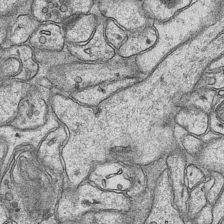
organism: Mouse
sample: CA1 Hippocampus